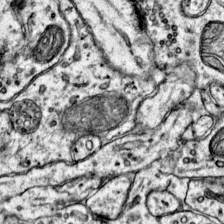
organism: Mouse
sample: Primary visual cortex